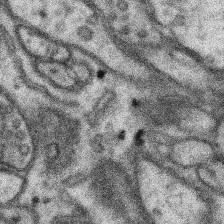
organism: Mouse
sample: Somatosensory cortex neuropil